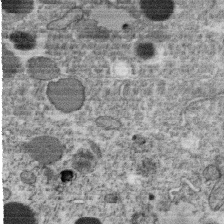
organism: C. elegans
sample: C. elegans oocyte; sperm cells